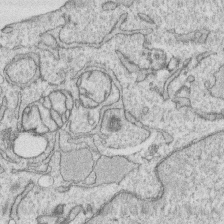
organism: Human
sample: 1205lu cells